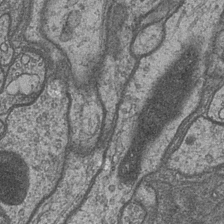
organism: Drosophila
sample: Optic medulla